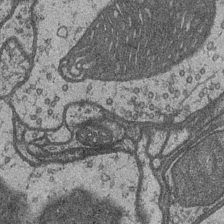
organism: Drosophila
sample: Optic medulla